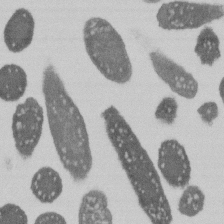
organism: E. coli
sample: Bacterial nucleoid